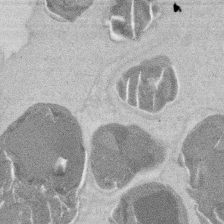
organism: Mouse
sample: T cell stromal cell synapse